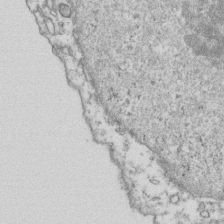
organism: Human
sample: Activated Jurkat CD4+ T cells